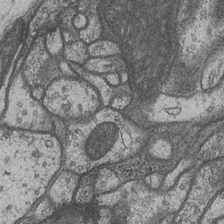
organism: Drosophila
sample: Optic medulla